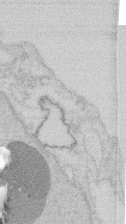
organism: Mouse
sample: T cell stromal cell synapse